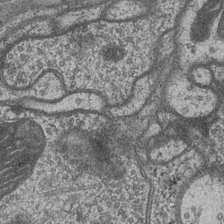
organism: Drosophila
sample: Optic medulla